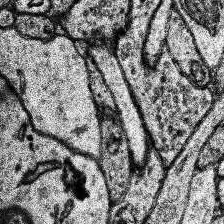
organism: Human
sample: Temporal Lobe